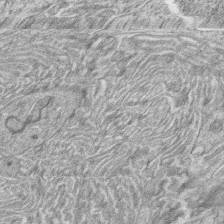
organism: Zebrafish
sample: synaptic ribbons in rod cells and cone cells